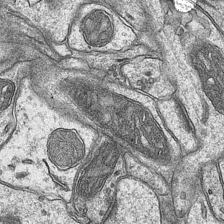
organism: Mouse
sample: CA1 Hippocampus